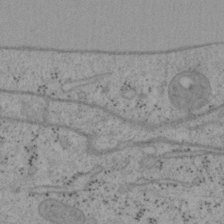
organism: Human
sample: HeLa cells